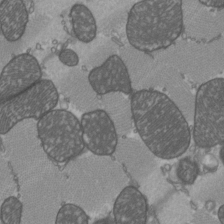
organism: C57BL Mouse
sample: Heart